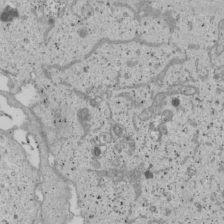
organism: Human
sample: Mitochondria in U2OS cells